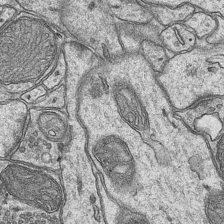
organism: Mouse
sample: CA1 Hippocampus